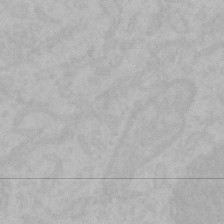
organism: Mouse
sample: Choroid plexus